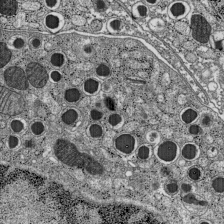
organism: C57BL Mouse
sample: Pancreatic islet